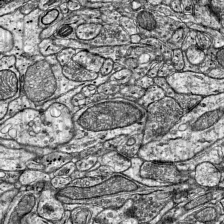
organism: Mouse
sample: Visual Cortex